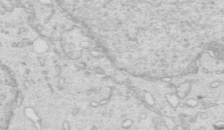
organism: Mouse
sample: Multiciliated cells